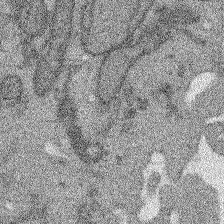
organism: Human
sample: HeLa cells